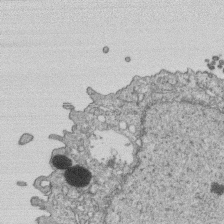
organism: Human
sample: HeLa cell HIV synapse